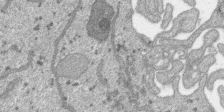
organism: Human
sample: Lung epithelial cells infected with SARS-CoV-2